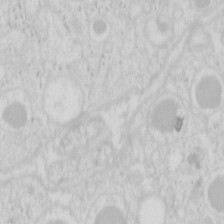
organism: Mouse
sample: Pancreas